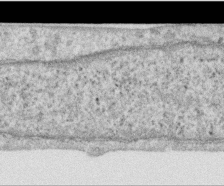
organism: Human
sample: Centriole in RPE cells